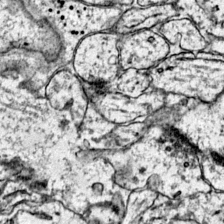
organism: Mouse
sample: Primary visual cortex